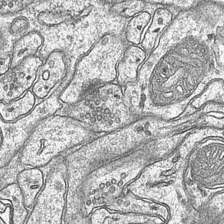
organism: Mouse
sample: CA1 Hippocampus